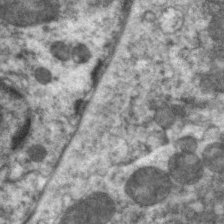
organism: C. elegans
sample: Pharynx